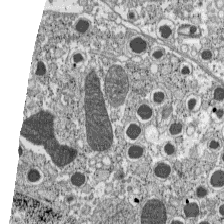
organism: C57BL Mouse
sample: Pancreatic islet